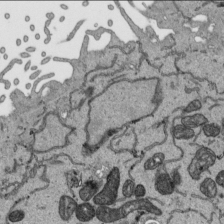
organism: Human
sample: Mitochondria in HCT116 cells